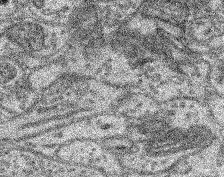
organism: Mouse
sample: Retina